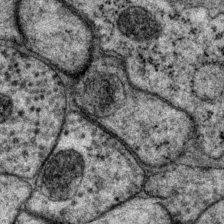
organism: P. pacificus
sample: Pharynx